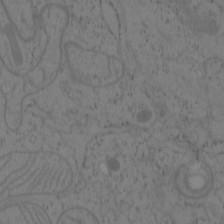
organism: Human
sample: HeLa cells